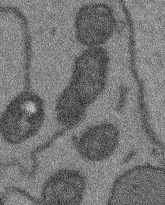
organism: Arabidopsis thaliana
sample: Root tip